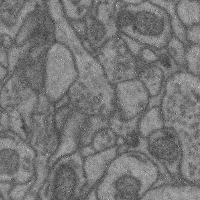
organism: Mouse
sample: Cerebral cortex